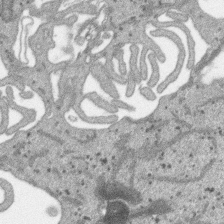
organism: Human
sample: Lung epithelial cells infected with SARS-CoV-2